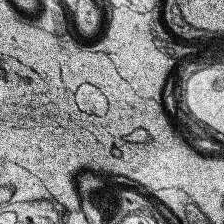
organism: Human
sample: Temporal Lobe